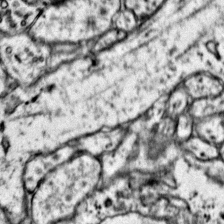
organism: Mouse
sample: Primary visual cortex